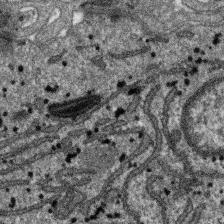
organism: Human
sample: Lung epithelial cells infected with SARS-CoV-2